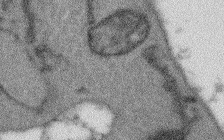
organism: Arabidopsis thaliana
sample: Root tip